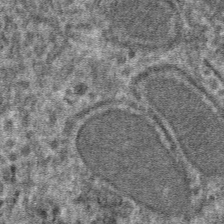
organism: Mouse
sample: Mouse hepatocytes